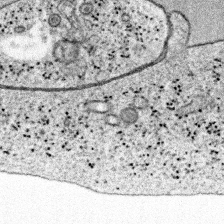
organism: Human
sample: HeLa cells